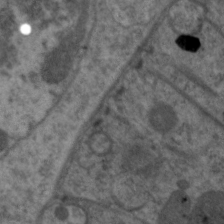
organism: C. elegans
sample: Pharynx